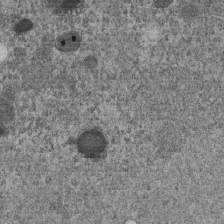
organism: C. elegans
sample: C. elegans embryo early stage